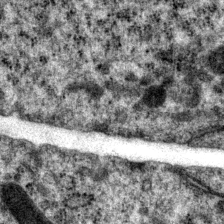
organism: P. pacificus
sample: Pharynx